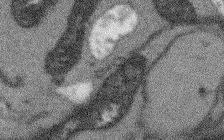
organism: Arabidopsis thaliana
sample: Root tip